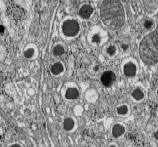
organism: C57BL Mouse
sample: Pancreatic islet